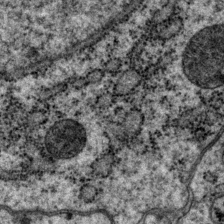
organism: P. pacificus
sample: Pharynx